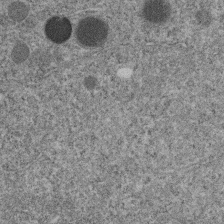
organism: C. elegans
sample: C. elegans embryo early stage